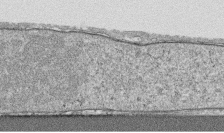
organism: Human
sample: CRL-1474